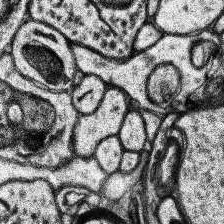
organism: Human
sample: Temporal Lobe